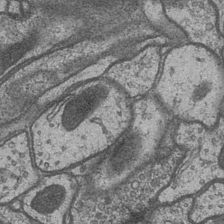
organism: Drosophila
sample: Optic medulla